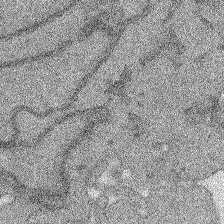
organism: Human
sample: HeLa cells